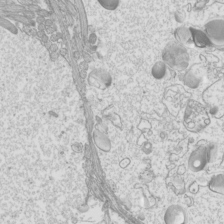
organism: Mouse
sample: Cilia; mouse epididymis